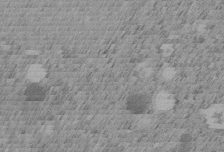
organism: C. elegans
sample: C. elegans embryo early stage